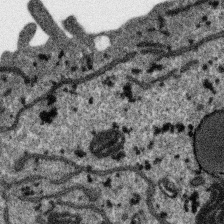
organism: Human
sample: Lung epithelial cells infected with SARS-CoV-2